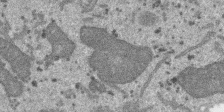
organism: Human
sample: Lung epithelial cells infected with SARS-CoV-2